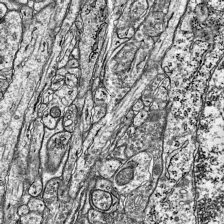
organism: Mouse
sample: Visual Cortex